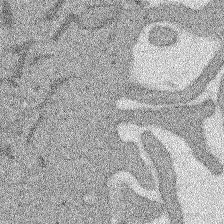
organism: Human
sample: HeLa cells